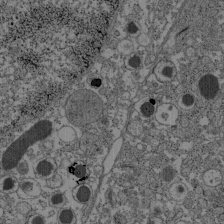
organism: C57BL Mouse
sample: Pancreatic islet